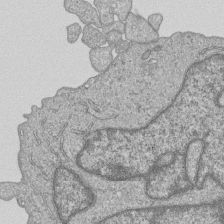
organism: Human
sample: MDA-MB-231 cells